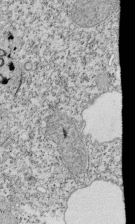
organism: Tetrahymena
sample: Cilia in tetrahymena